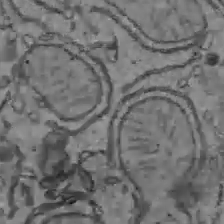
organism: C57BL Mouse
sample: Liver